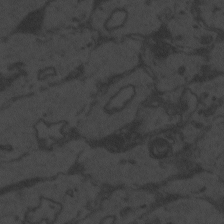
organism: Zebrafish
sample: Macrophage infected with Toxoplasma gondii